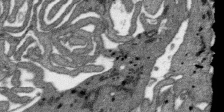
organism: Human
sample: Lung epithelial cells, uninfected (mock) control